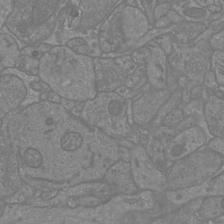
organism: Mouse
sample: Cortical neurons